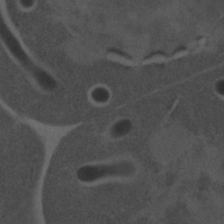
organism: C. elegans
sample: C. elegans embryo